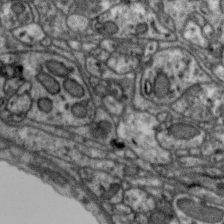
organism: Zebra finch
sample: Brain